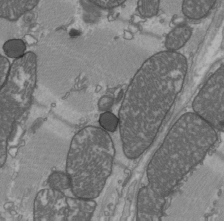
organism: C57BL Mouse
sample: Heart